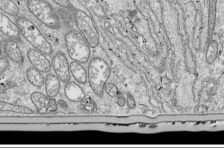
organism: Drosophila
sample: Cell division; meiosis; drosophila spermatocytes